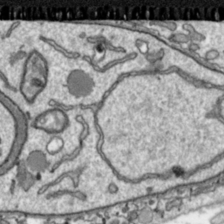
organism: Toxoplasma gondii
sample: Parasites in a vacuole inside a host cell